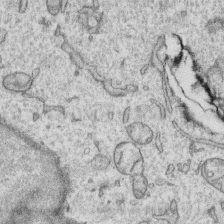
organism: Human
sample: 1205lu cells